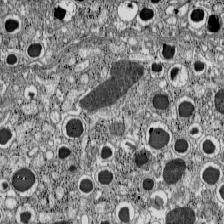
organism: C57BL Mouse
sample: Pancreatic islet